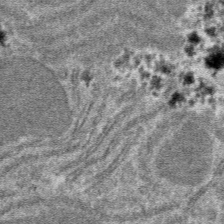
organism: Mouse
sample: Mouse hepatocytes